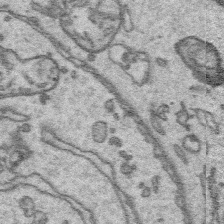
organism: Platynereis dumerilii